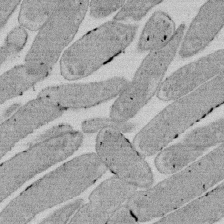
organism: E. coli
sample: Bacterial nucleoid